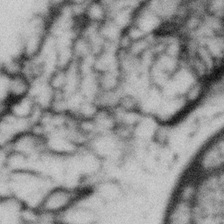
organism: Gemmata obscuriglobus